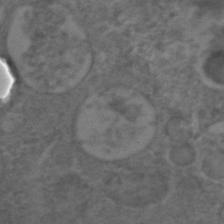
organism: C. elegans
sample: C. elegans embryo